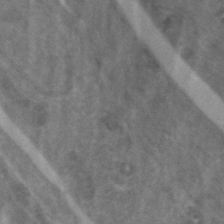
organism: Zebrafish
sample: Zebrafish embryo